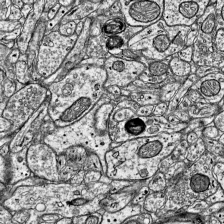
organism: Mouse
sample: Visual Cortex